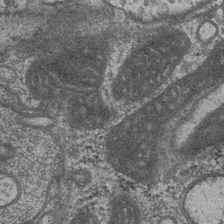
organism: Drosophila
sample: Optic medulla